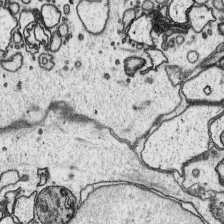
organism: Platynereis dumerilii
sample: Parapodia